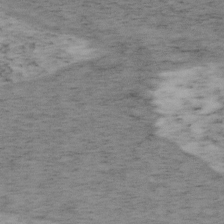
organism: Mouse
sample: OT-I killer T cells with ID8 ovarian cancer cells